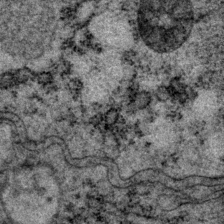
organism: P. pacificus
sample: Pharynx